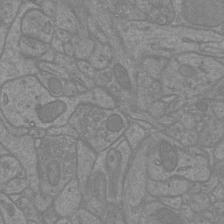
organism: Mouse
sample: Cortical neurons